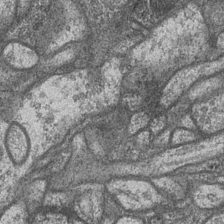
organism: Drosophila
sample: Optic medulla